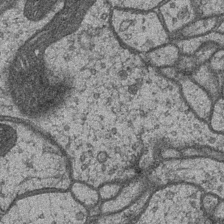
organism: Drosophila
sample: Optic medulla